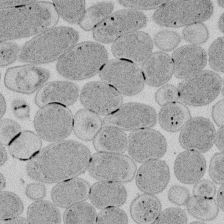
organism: E. coli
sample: Bacterial nucleoid